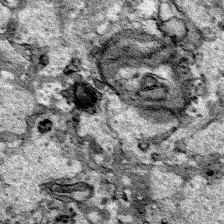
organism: Human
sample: Mitochondria in HCT116 cells